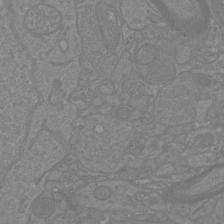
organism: Mouse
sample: Cortical neurons